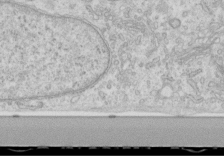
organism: Human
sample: Centriole in RPE cells